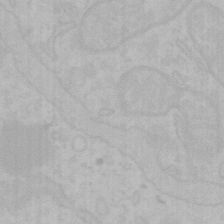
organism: Mouse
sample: Choroid plexus